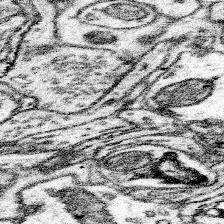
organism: Mouse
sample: Somatosensory cortex neuropil